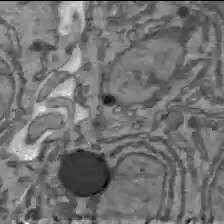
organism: C57BL Mouse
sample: Liver